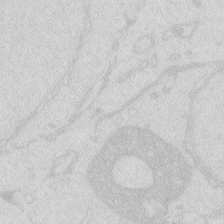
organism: Zebrafish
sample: Macrophage